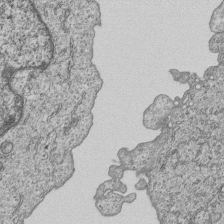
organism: Human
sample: MDA-MB-231 cells